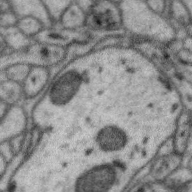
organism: Zebra finch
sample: Brain